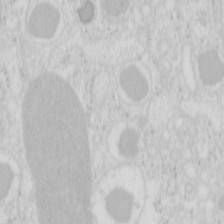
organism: Mouse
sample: Pancreas